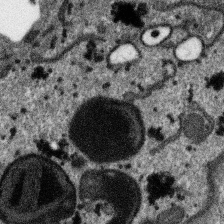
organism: Human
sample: Lung epithelial cells infected with SARS-CoV-2